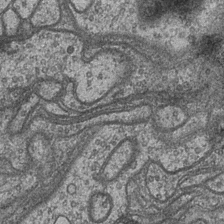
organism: Drosophila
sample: Optic medulla